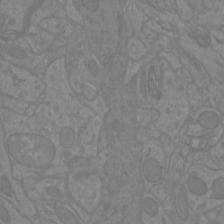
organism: Mouse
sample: Cortical neurons